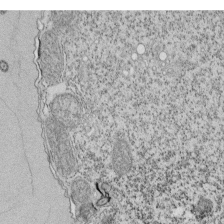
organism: Tetrahymena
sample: Cilia in tetrahymena